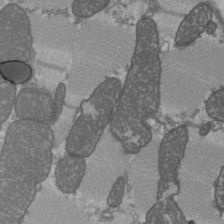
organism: C57BL Mouse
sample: Heart